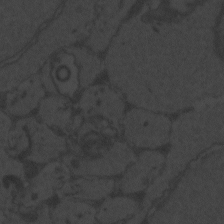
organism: Zebrafish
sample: Macrophage infected with Toxoplasma gondii